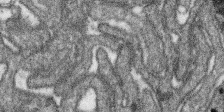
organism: Human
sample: Lung epithelial cells infected with SARS-CoV-2